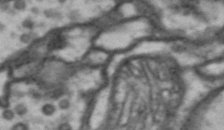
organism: Drosophila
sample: Brain